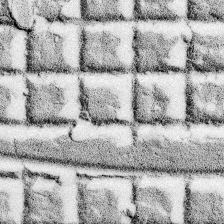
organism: Rat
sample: Hippocampus